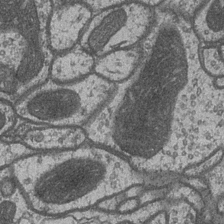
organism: Drosophila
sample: Optic medulla